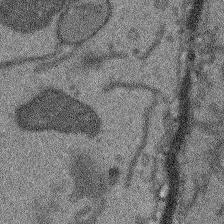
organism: Arabidopsis thaliana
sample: Root tip